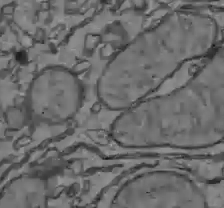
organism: C57BL Mouse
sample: Liver